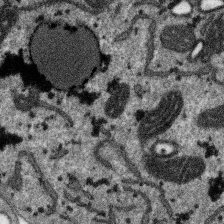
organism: Human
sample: Lung epithelial cells infected with SARS-CoV-2